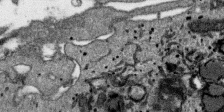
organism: Human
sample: Lung epithelial cells, uninfected (mock) control